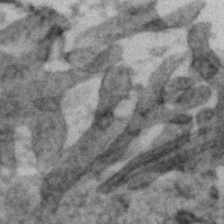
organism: Zebrafish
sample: Zebrafish embryo